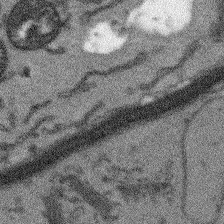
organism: Arabidopsis thaliana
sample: Root tip